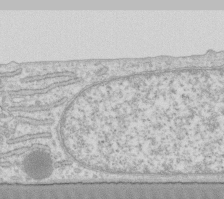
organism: Human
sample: Fibroblast cells